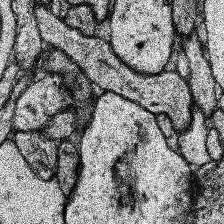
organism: Human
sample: Temporal Lobe